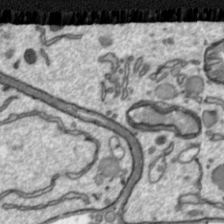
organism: Toxoplasma gondii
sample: Parasites in a vacuole inside a host cell